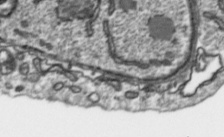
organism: Toxoplasma gondii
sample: Parasites in a vacuole inside a host cell